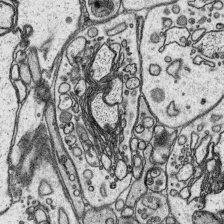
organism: Platynereis dumerilii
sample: Parapodia